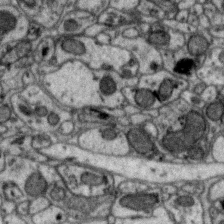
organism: Zebra finch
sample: Brain